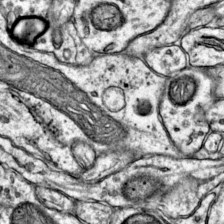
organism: Mouse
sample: Primary visual cortex